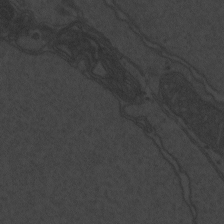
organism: Zebrafish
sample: Macrophage infected with Toxoplasma gondii